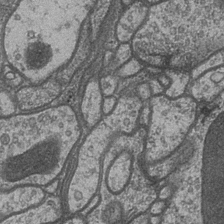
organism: Drosophila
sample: Optic medulla